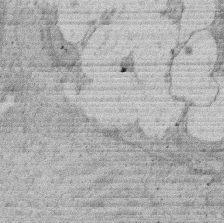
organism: Rat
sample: Salivary granule